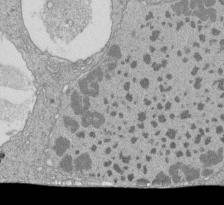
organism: Tetrahymena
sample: Cilia in tetrahymena